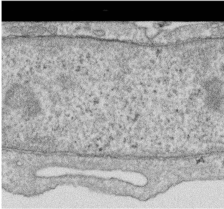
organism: Human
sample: Centriole in RPE cells